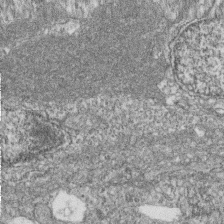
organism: Zebrafish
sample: Cilia; retinal pigment epithelium